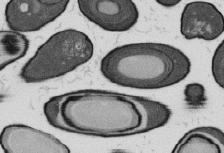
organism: B. subtilis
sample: Bacterial spore